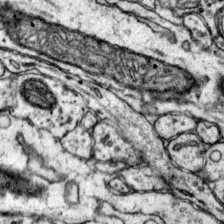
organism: Mouse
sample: Primary visual cortex